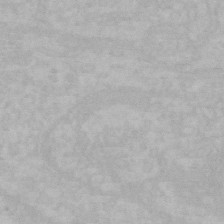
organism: Mouse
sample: Choroid plexus